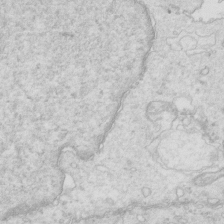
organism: Mouse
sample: Multiciliated cells